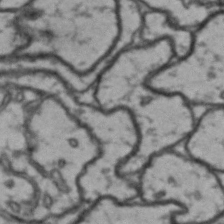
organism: Drosophila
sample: Brain